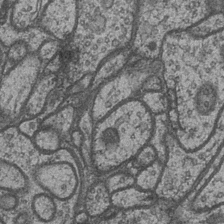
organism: Drosophila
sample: Optic medulla